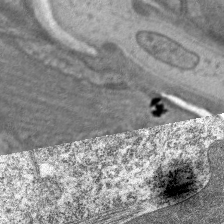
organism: C. elegans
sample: Pharynx